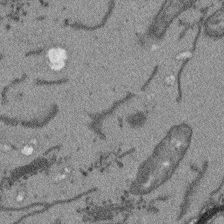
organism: Arabidopsis thaliana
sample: Root tip